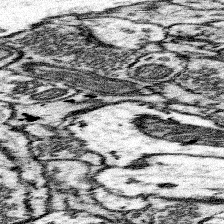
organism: Mouse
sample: Somatosensory cortex neuropil